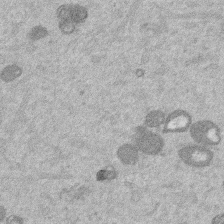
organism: Mouse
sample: Dividing mouse embryo 1 cell stage